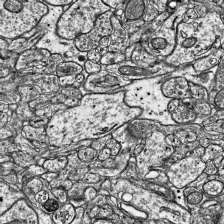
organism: Mouse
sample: Visual Cortex